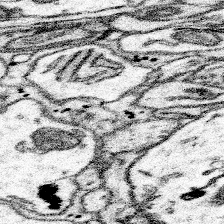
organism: Mouse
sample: Somatosensory cortex neuropil